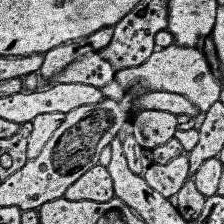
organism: Human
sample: Temporal Lobe